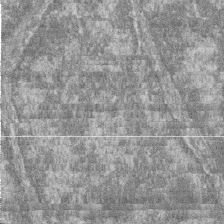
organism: Zebrafish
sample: Cilia; retinal pigment epithelium